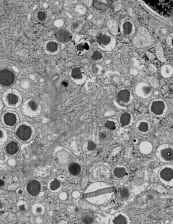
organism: C57BL Mouse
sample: Pancreatic islet